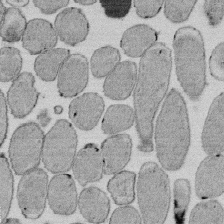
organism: E. coli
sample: Bacterial nucleoid